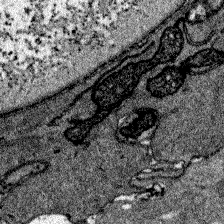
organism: Zebrafish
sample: Larval olfactory bulb